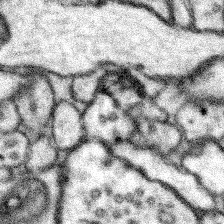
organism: Mouse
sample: Somatosensory cortex neuropil